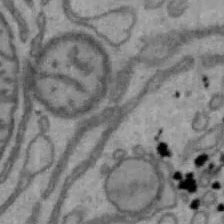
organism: Mouse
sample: Liver